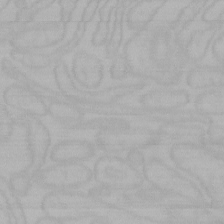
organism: Mouse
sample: Choroid plexus